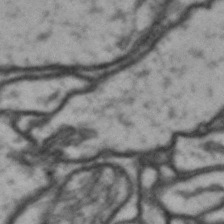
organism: Drosophila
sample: Brain